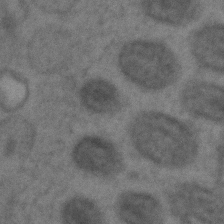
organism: C. elegans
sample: C. elegans embryo